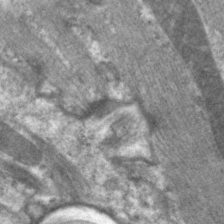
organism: C. elegans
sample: Pharynx